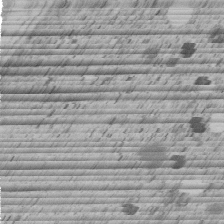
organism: C. elegans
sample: C. elegans embryo early stage